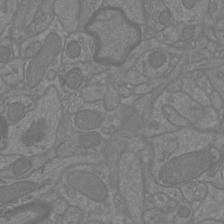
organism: Mouse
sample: Cortical neurons